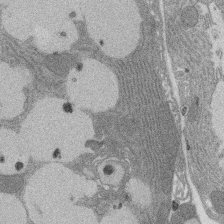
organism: Rat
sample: Salivary granule